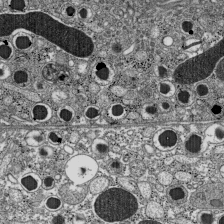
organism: C57BL Mouse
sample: Pancreatic islet